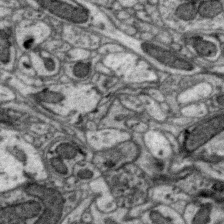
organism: Zebra finch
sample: Brain